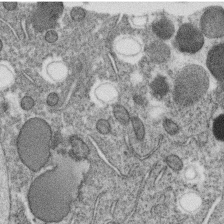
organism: C. elegans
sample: C. elegans oocyte; sperm cells